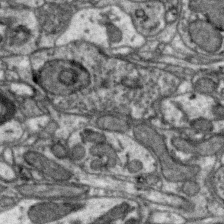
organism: Zebra finch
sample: Brain